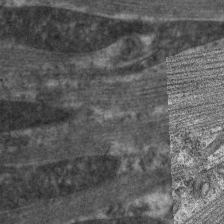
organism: C. elegans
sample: Pharynx